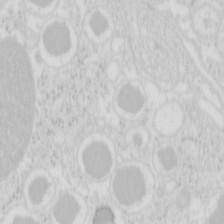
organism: Mouse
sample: Pancreas